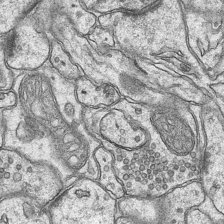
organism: Mouse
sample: CA1 Hippocampus